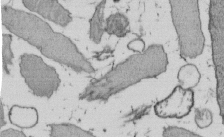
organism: E. coli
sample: Bacterial nucleoid